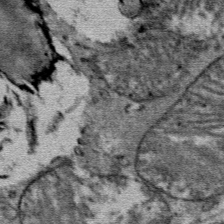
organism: Mouse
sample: Mouse Salivary gland